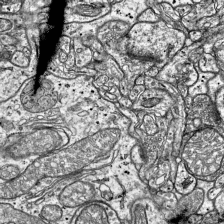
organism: Mouse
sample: Visual Cortex